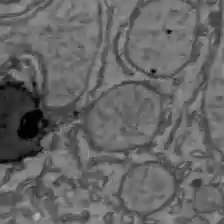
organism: C57BL Mouse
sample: Liver